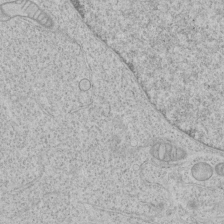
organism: Human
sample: Mitochondria in HCT116 cells